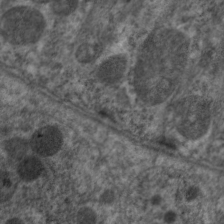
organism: C. elegans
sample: Pharynx